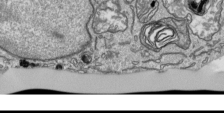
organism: Human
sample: Mitochondria in HCT116 cells